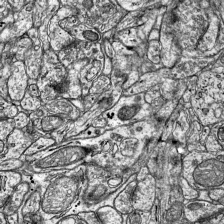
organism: Mouse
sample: Visual Cortex